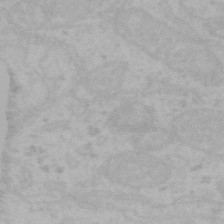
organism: Mouse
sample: Choroid plexus